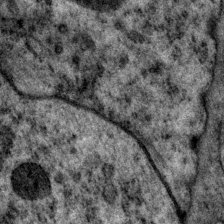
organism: P. pacificus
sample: Pharynx